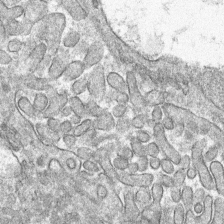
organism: Mouse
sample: Mouse hepatocytes